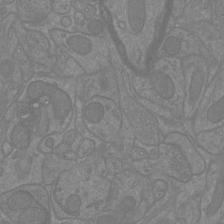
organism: Mouse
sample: Cortical neurons